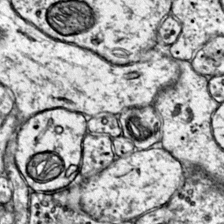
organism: Mouse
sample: Primary visual cortex